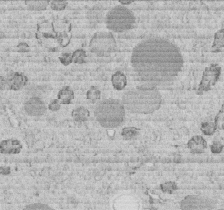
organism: C. elegans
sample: C. elegans embryo early stage